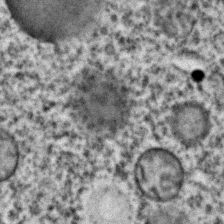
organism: C. elegans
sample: C. elegans embryo